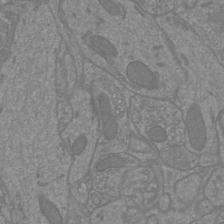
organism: Mouse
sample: Cortical neurons